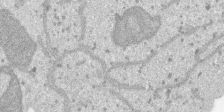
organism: Human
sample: Lung epithelial cells infected with SARS-CoV-2